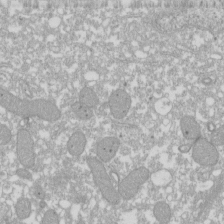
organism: Xenopus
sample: Cilia; centrioles in frog embryo cells